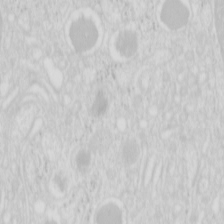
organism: Mouse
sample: Pancreas